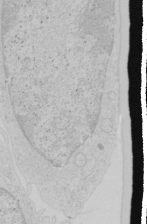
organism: Human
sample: Mitochondria in HCT116 cells